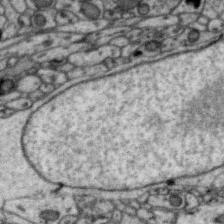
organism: Zebra finch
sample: Brain